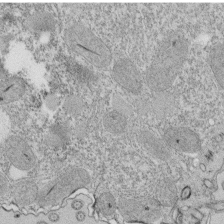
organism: Tetrahymena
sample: Cilia in tetrahymena